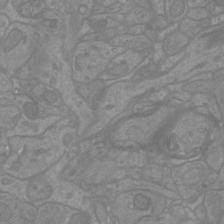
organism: Mouse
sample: Cortical neurons